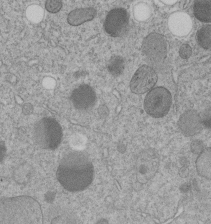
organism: C. elegans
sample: C. elegans embryo early stage